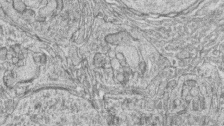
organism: Zebrafish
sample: synaptic ribbons in rod cells and cone cells